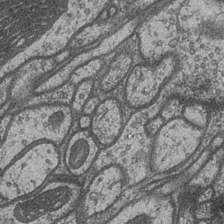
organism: Drosophila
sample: Optic medulla